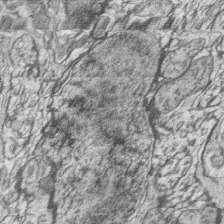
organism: Zebrafish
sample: synaptic ribbons in rod cells and cone cells